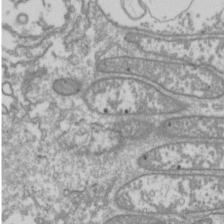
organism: Drosophila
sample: Cell division; meiosis; drosophila spermatocytes